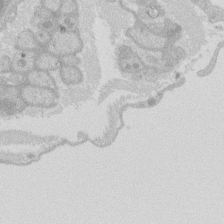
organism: Rat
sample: Salivary granule